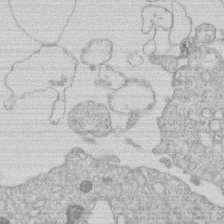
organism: Human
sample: Macrophage cells